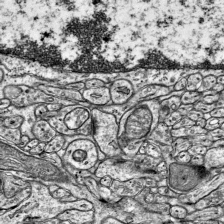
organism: Mouse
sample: Visual Cortex